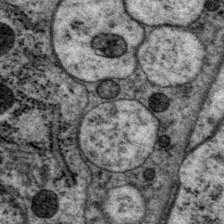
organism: P. pacificus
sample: Pharynx